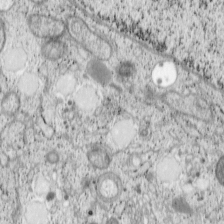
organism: African green monkey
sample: COS-7 cells